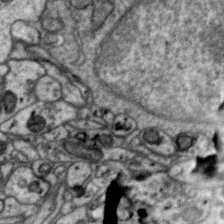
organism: Zebra finch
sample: Brain